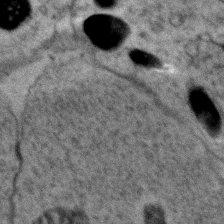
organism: Zebrafish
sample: Zebrafish embryo